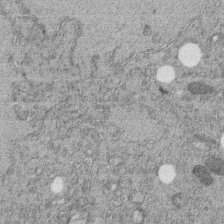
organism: C. elegans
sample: C. elegans embryo early stage